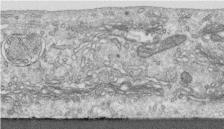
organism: Human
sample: Centriole in RPE cells